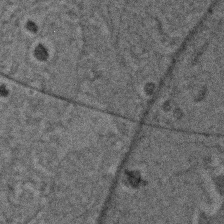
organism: Zebrafish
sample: Zebrafish embryo